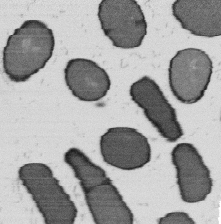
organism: B. subtilis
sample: Bacterial spore